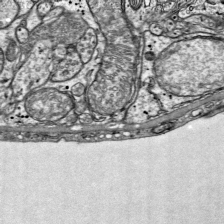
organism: Mouse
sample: Visual Cortex